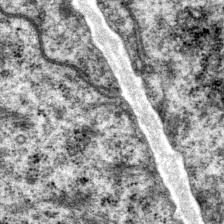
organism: P. pacificus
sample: Pharynx